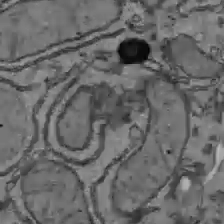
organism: C57BL Mouse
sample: Liver